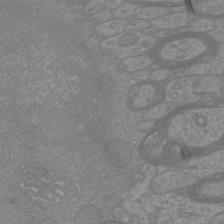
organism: Mouse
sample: Cortical neurons